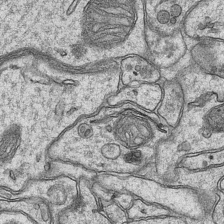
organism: Mouse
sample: CA1 Hippocampus